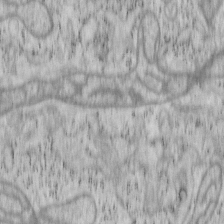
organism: Human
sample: HeLa cells